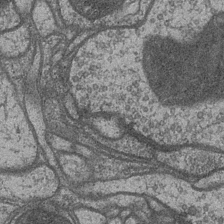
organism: Drosophila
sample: Optic medulla